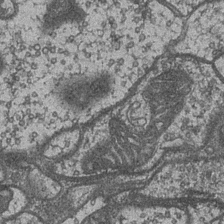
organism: Drosophila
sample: Optic medulla